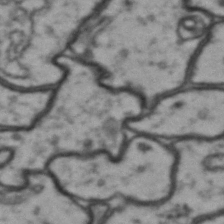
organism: Drosophila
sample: Brain